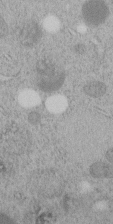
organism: C. elegans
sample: C. elegans embryo early stage